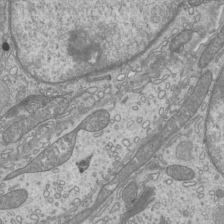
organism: Mouse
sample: Cilia; mouse epididymis